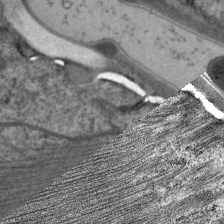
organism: C. elegans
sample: Pharynx